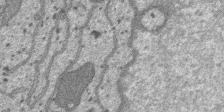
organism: Human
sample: Lung epithelial cells infected with SARS-CoV-2